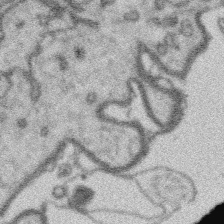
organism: Platynereis dumerilii